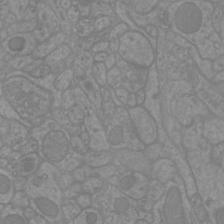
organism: Mouse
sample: Cortical neurons